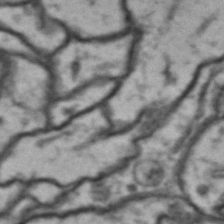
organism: Drosophila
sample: Brain